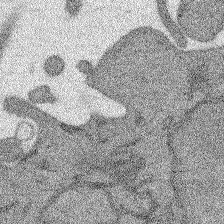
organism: Human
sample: HeLa cells